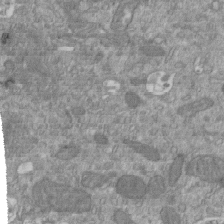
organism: Mouse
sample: ED-1 cell nuclei; centrioles